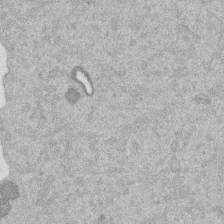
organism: Mouse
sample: Dividing mouse embryo 1 cell stage